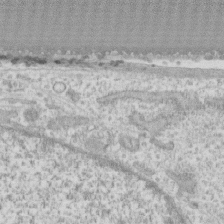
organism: Human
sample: CRL-1474